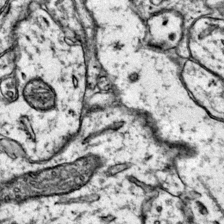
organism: Mouse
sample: Primary visual cortex